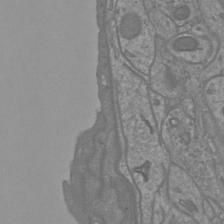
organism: Mouse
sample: Cortical neurons